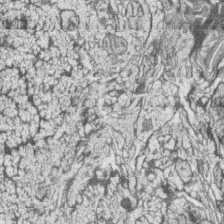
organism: Zebrafish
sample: synaptic ribbons in rod cells and cone cells